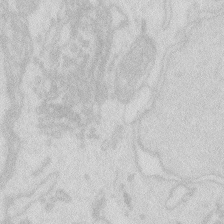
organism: Zebrafish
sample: Macrophage